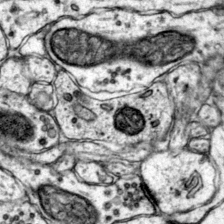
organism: Mouse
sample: Primary visual cortex